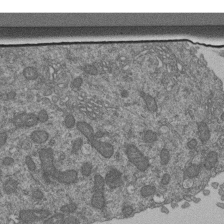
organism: Human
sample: Retinal organoid Rod and Cone cells